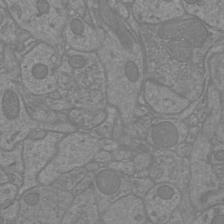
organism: Mouse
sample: Cortical neurons